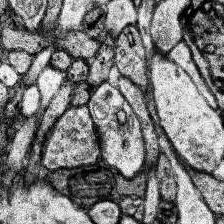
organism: Human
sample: Temporal Lobe